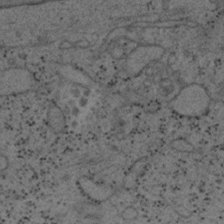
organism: Human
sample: HeLa cells